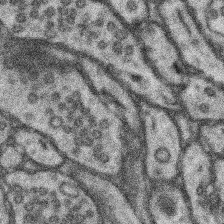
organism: Mouse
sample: Somatosensory cortex neuropil